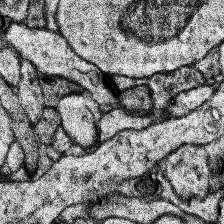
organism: Human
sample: Temporal Lobe